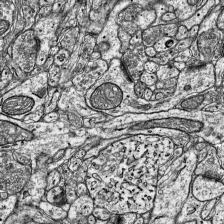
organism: Mouse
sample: Visual Cortex